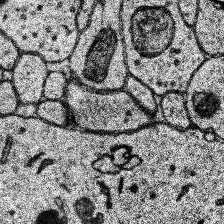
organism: Human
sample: Temporal Lobe